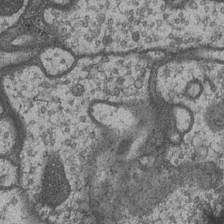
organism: Drosophila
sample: Optic medulla